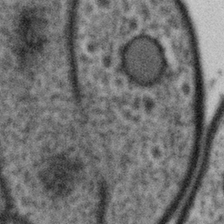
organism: Gemmata obscuriglobus